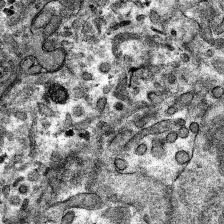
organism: Mouse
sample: Mouse hepatocytes